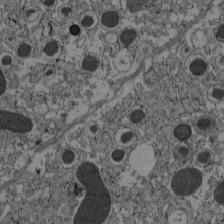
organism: C57BL Mouse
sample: Pancreatic islet